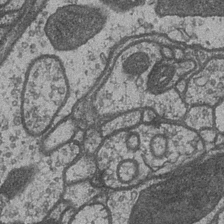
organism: Drosophila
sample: Optic medulla